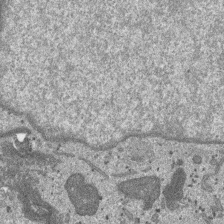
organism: Human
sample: Lung epithelial cells infected with SARS-CoV-2